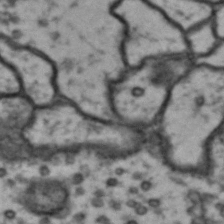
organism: Drosophila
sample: Brain